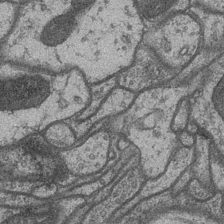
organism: Drosophila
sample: Optic medulla